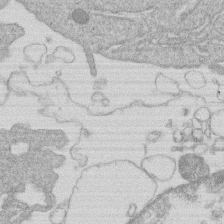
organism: Human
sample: Macrophage cells